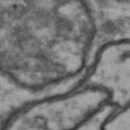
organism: Drosophila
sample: Brain